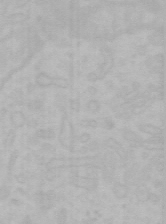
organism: Mouse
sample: Choroid plexus